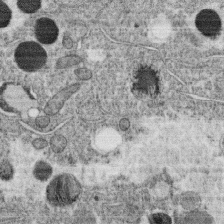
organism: C. elegans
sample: C. elegans oocyte; sperm cells